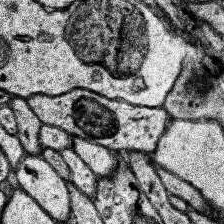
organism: Human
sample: Temporal Lobe